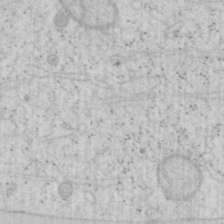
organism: Human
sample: HeLa cells